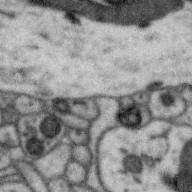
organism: Zebra finch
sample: Brain